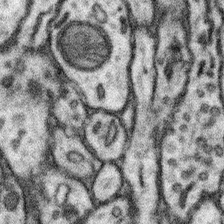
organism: Mouse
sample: Somatosensory cortex neuropil